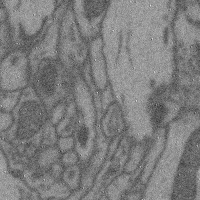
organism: Mouse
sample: Cerebral cortex